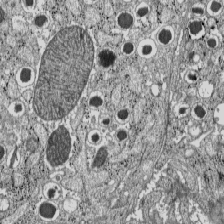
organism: C57BL Mouse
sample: Pancreatic islet